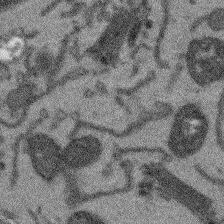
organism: Arabidopsis thaliana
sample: Root tip